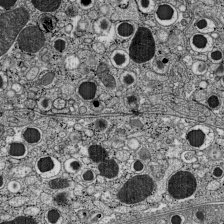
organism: C57BL Mouse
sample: Pancreatic islet